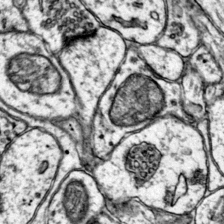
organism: Mouse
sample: Primary visual cortex